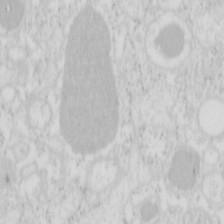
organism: Mouse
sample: Pancreas